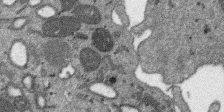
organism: Human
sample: Lung epithelial cells infected with SARS-CoV-2